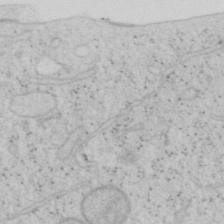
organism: Human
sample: HeLa cells